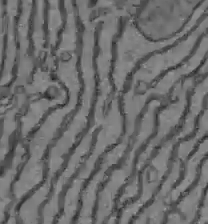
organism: C57BL Mouse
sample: Liver